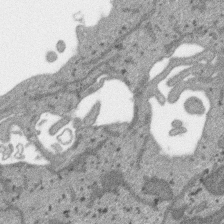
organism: Human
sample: Lung epithelial cells infected with SARS-CoV-2